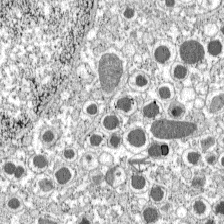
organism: C57BL Mouse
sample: Pancreatic islet